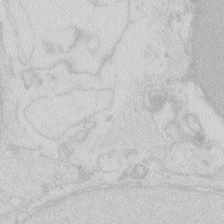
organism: Zebrafish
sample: Macrophage